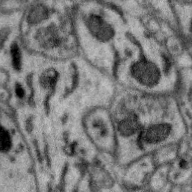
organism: Zebra finch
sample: Brain